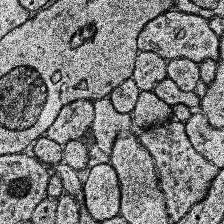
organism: Human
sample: Temporal Lobe